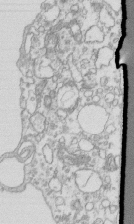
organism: Mouse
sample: Macrophages